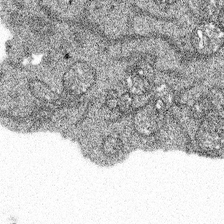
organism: Spongilla lacustris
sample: Multiple